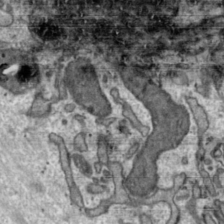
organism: Toxoplasma gondii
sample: Parasites in a vacuole inside a host cell